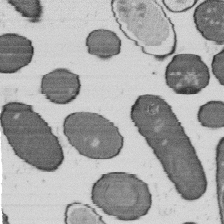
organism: B. subtilis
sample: Bacterial spore